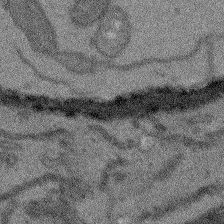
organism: Arabidopsis thaliana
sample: Root tip